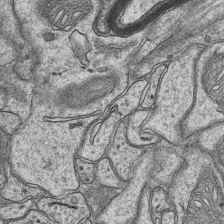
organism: Mouse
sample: CA1 Hippocampus